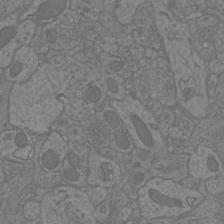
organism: Mouse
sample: Cortical neurons